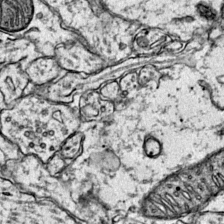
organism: Mouse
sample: Primary visual cortex